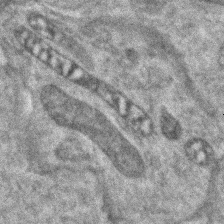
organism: Zebrafish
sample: Zebrafish embryo